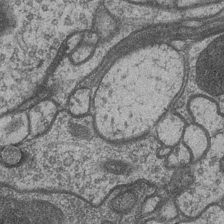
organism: Drosophila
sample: Optic medulla